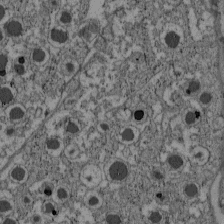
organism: C57BL Mouse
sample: Pancreatic islet